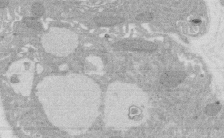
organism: Rat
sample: Salivary granule